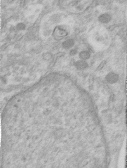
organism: Human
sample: Centriole in RPE cells